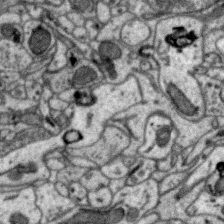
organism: Zebra finch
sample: Brain